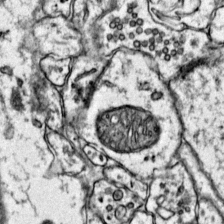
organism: Mouse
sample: Primary visual cortex